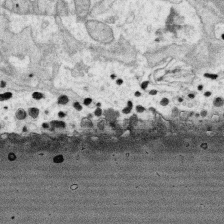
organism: Human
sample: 1205lu cells